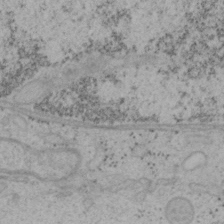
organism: Human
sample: HeLa cells